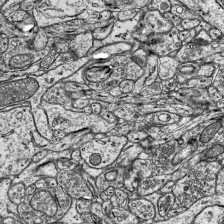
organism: Mouse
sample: Visual Cortex